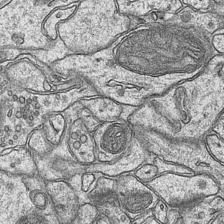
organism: Mouse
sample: CA1 Hippocampus